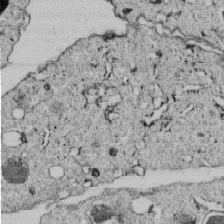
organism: C. elegans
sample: C. elegans embryo early stage